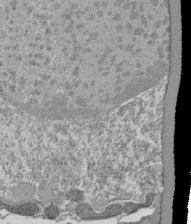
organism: Tetrahymena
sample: Cilia in tetrahymena